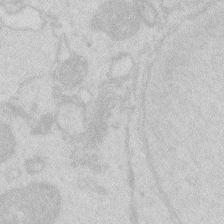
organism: Zebrafish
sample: Macrophage